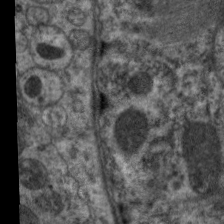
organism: C. elegans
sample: Pharynx